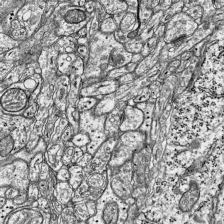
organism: Mouse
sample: Visual Cortex